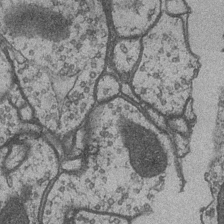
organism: Drosophila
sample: Optic medulla